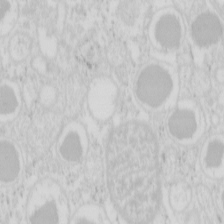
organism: Mouse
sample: Pancreas